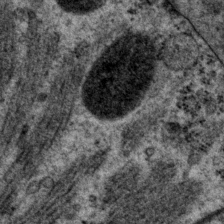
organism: P. pacificus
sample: Pharynx